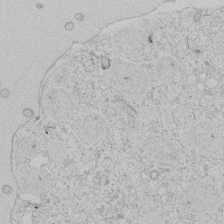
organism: Tetrahymena